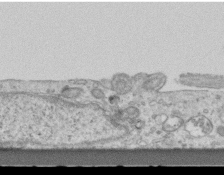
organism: Mouse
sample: Centriole in ependymal cells